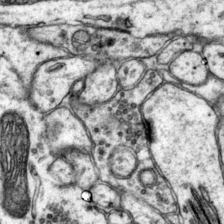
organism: Mouse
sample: Primary visual cortex